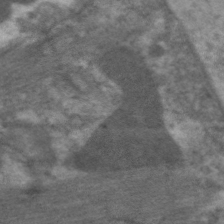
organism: C. elegans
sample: Pharynx